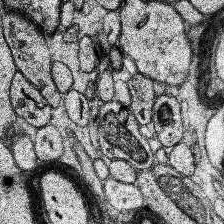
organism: Human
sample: Temporal Lobe